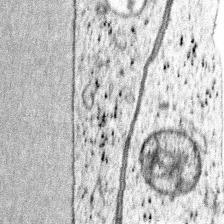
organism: Human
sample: HeLa cells